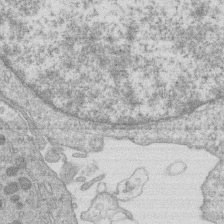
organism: Human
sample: Macrophage cells